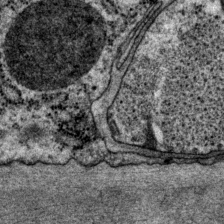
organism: P. pacificus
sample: Pharynx